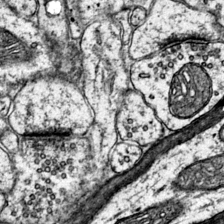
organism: Mouse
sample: Primary visual cortex